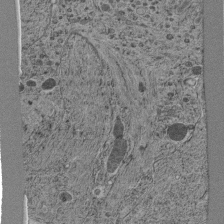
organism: C. elegans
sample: C. elegans pharynx